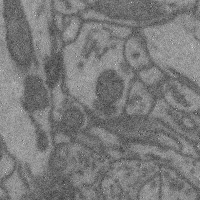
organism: Mouse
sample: Cerebral cortex